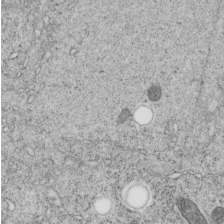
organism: C. elegans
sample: C. elegans embryo early stage